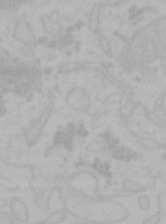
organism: Mouse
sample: Choroid plexus